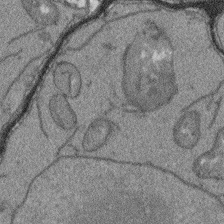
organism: Arabidopsis thaliana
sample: Root tip